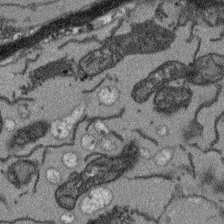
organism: Arabidopsis thaliana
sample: Root tip